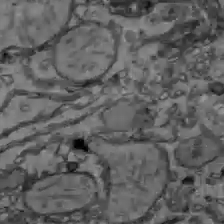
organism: C57BL Mouse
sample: Liver